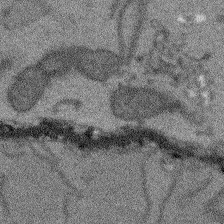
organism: Arabidopsis thaliana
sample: Root tip